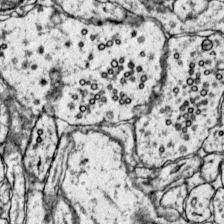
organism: Mouse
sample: Primary visual cortex